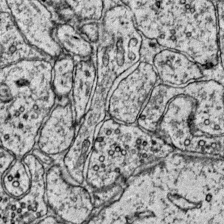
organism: Mouse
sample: Primary visual cortex